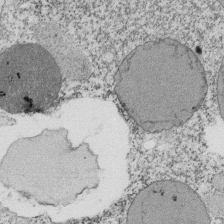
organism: Tetrahymena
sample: Cilia in tetrahymena